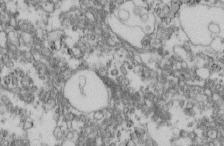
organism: Mouse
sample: Cilia; retinal pigment epithelium